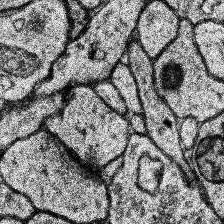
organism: Human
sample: Temporal Lobe